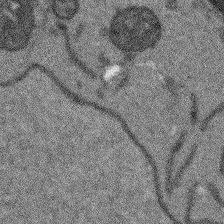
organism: Arabidopsis thaliana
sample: Root tip